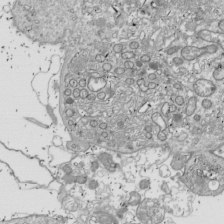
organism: Drosophila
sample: Cell division; meiosis; drosophila spermatocytes